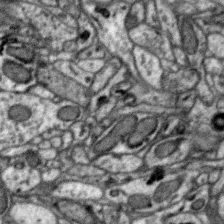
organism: Zebra finch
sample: Brain